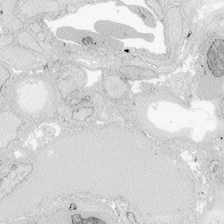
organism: Zebrafish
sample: Whole-Brain